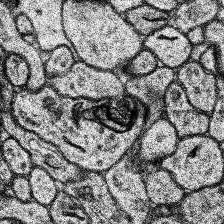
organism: Human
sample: Temporal Lobe